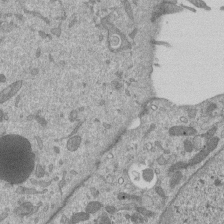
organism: Mouse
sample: ED-1 cell nuclei; centrioles